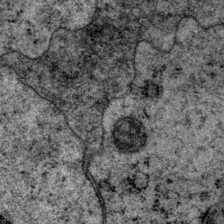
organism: P. pacificus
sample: Pharynx